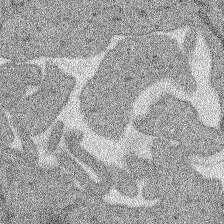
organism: Human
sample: HeLa cells